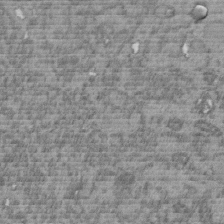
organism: C. elegans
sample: C. elegans embryo early stage